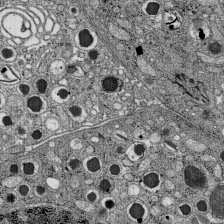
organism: C57BL Mouse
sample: Pancreatic islet